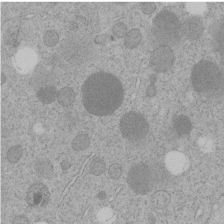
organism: C. elegans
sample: C. elegans embryo early stage